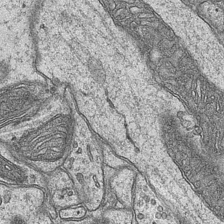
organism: Mouse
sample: CA1 Hippocampus